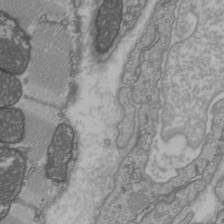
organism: C57BL Mouse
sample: Heart